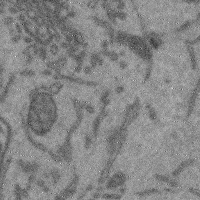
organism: Mouse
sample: Cerebral cortex